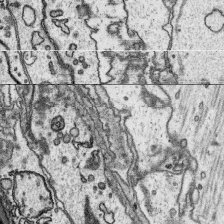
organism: Platynereis dumerilii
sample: Parapodia